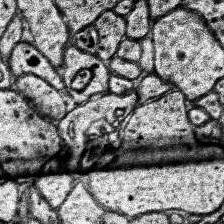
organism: Human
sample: Temporal Lobe